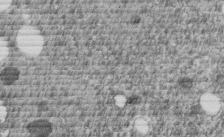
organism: C. elegans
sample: C. elegans embryo early stage